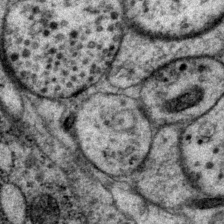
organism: P. pacificus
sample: Pharynx